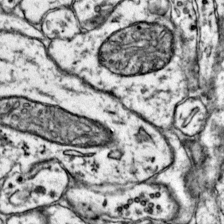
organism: Mouse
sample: Primary visual cortex